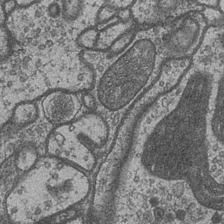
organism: Drosophila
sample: Optic medulla